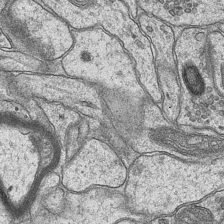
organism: Mouse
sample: CA1 Hippocampus